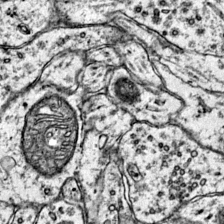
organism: Mouse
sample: Primary visual cortex